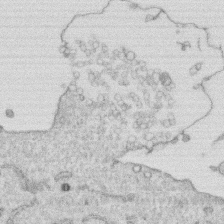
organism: Human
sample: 1205lu cells